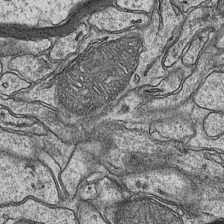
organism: Mouse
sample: CA1 Hippocampus